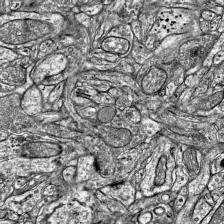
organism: Mouse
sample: Visual Cortex